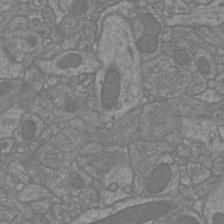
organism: Mouse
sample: Cortical neurons